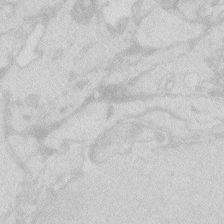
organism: Zebrafish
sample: Macrophage